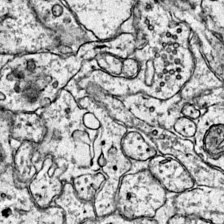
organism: Mouse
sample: Primary visual cortex